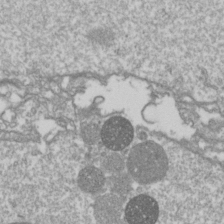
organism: Drosophila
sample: Cell division; meiosis; drosophila spermatocytes